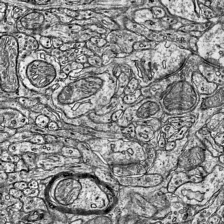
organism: Mouse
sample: Visual Cortex